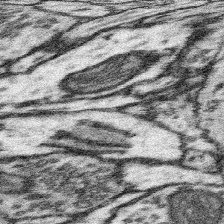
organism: Mouse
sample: Somatosensory cortex neuropil